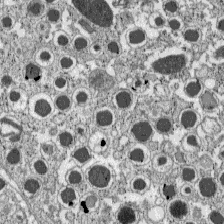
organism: C57BL Mouse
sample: Pancreatic islet